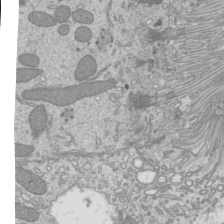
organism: Mouse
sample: Cilia; mouse epididymis